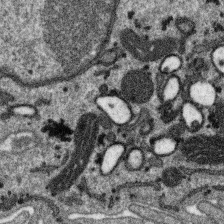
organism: Human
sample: Lung epithelial cells infected with SARS-CoV-2